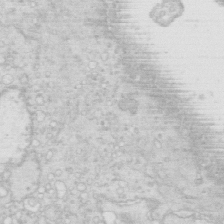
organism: Mouse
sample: Multiciliated cells